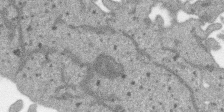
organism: Human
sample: Lung epithelial cells infected with SARS-CoV-2